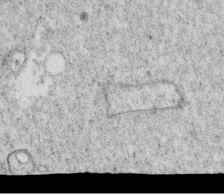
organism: C. elegans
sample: C. elegans oocyte; sperm cells